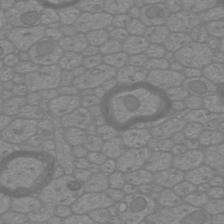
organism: Mouse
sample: Cortical neurons